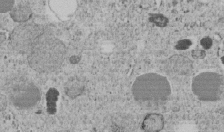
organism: C. elegans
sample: C. elegans embryo early stage